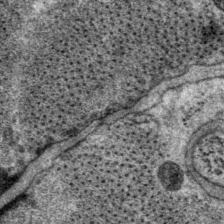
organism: P. pacificus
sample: Pharynx